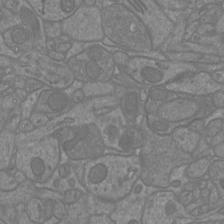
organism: Mouse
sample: Cortical neurons